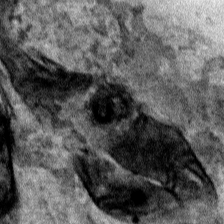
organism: Human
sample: Mitochondria in HCT116 cells